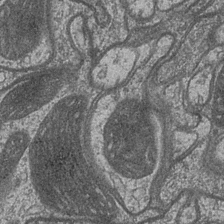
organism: Drosophila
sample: Optic medulla